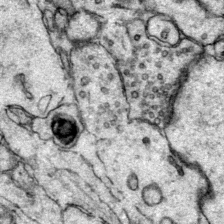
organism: Mouse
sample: Primary visual cortex